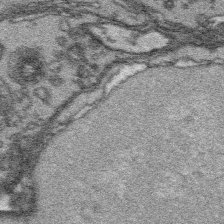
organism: Platynereis dumerilii